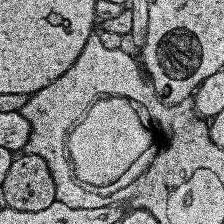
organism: Human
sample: Temporal Lobe